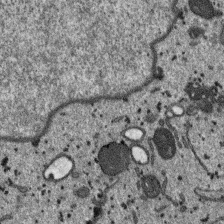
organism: Human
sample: Lung epithelial cells infected with SARS-CoV-2